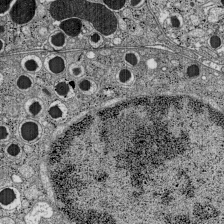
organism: C57BL Mouse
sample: Pancreatic islet